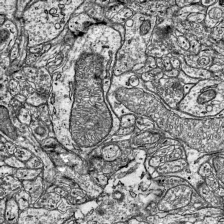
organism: Mouse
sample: Visual Cortex